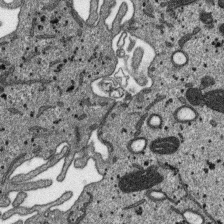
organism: Human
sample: Lung epithelial cells infected with SARS-CoV-2